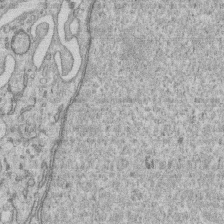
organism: Human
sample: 1205lu cells